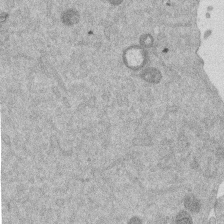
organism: Mouse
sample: Dividing mouse embryo 1 cell stage